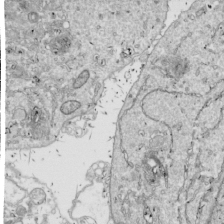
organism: Drosophila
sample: Cell division; meiosis; drosophila spermatocytes